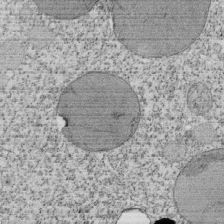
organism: Tetrahymena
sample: Cilia in tetrahymena